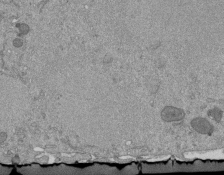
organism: Mouse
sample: ED-1 cell nuclei; centrioles